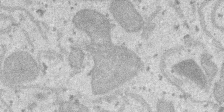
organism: Human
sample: Lung epithelial cells infected with SARS-CoV-2